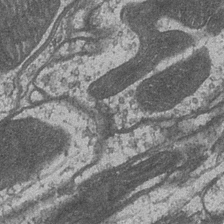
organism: Drosophila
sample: Optic medulla